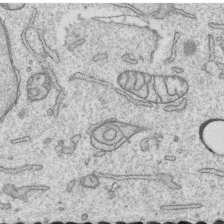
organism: Human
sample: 1205lu cells